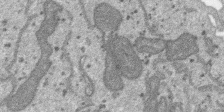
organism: Human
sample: Lung epithelial cells infected with SARS-CoV-2